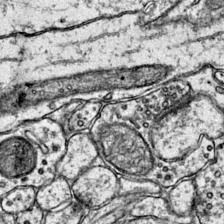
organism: Mouse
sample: Primary visual cortex